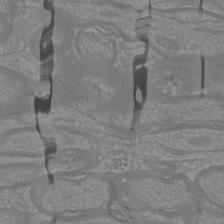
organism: Mouse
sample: Cortical neurons